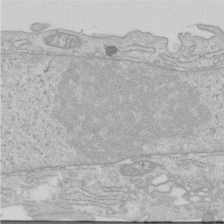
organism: Human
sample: Centriole in RPE cells